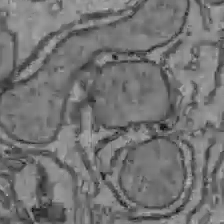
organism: C57BL Mouse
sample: Liver